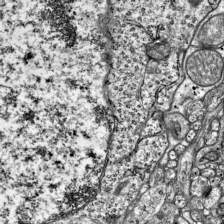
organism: Mouse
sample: Visual Cortex